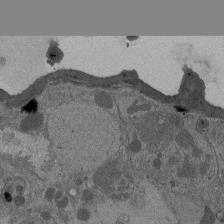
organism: Drosophila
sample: Antenna